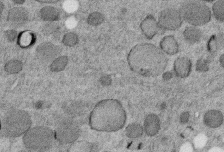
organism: C. elegans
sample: C. elegans embryo early stage